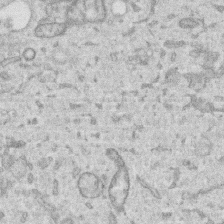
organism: Human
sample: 1205lu cells